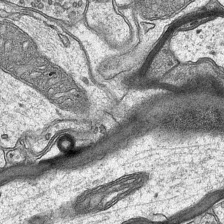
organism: Mouse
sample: CA1 Hippocampus